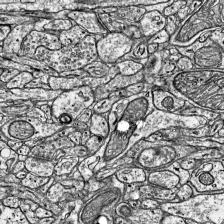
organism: Mouse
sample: Visual Cortex